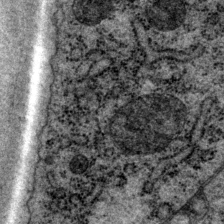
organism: P. pacificus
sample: Pharynx